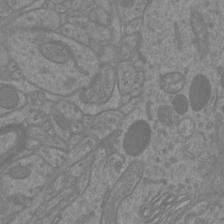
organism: Mouse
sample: Cortical neurons